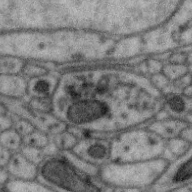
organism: Zebra finch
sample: Brain